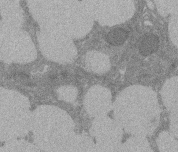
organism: Rat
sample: Salivary granule